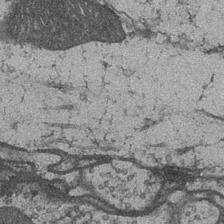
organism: Drosophila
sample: Optic medulla